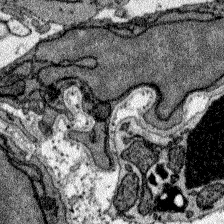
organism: Zebrafish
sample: Larval olfactory bulb